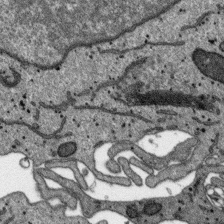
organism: Human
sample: Lung epithelial cells, uninfected (mock) control